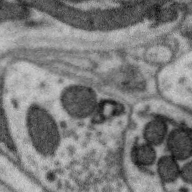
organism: Zebra finch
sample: Brain